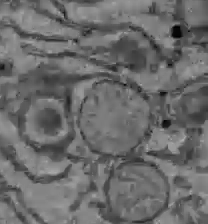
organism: C57BL Mouse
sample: Liver